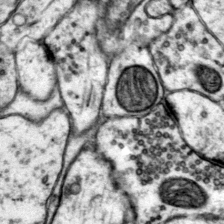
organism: Mouse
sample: Primary visual cortex